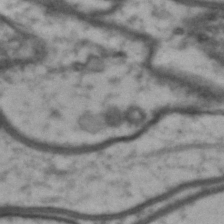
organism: Drosophila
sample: Brain